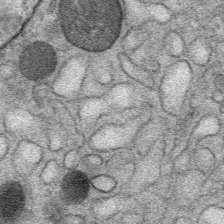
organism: Mouse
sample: Mouse Salivary gland